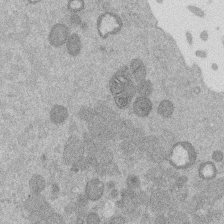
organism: Mouse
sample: Dividing mouse embryo 1 cell stage